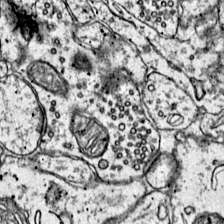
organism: Mouse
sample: Primary visual cortex